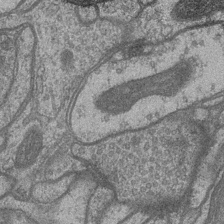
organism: Drosophila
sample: Optic medulla